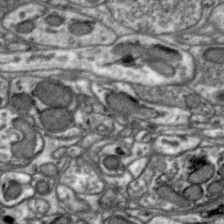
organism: Zebra finch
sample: Brain